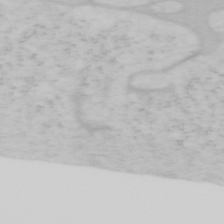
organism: Mouse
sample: OT-I killer T cells with ID8 ovarian cancer cells